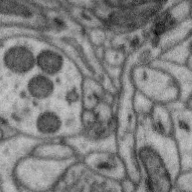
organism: Zebra finch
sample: Brain